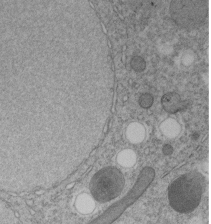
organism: C. elegans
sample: C. elegans embryo early stage